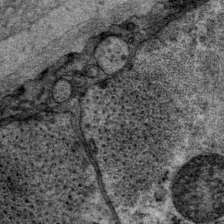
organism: P. pacificus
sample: Pharynx